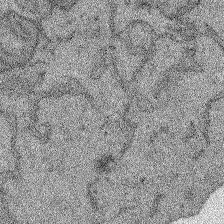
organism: Human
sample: HeLa cells